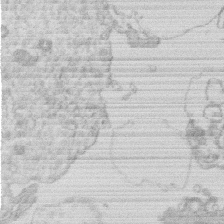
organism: Human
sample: Macrophage cells